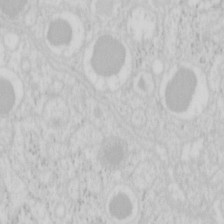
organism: Mouse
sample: Pancreas